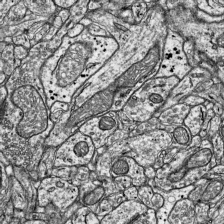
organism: Mouse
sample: Visual Cortex